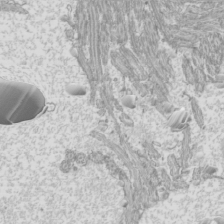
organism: Mouse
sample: Cilia; mouse epididymis